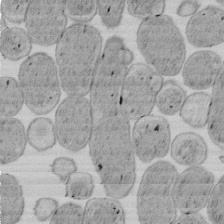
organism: E. coli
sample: Bacterial nucleoid